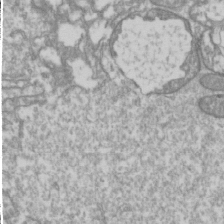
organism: Drosophila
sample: Cell division; meiosis; drosophila spermatocytes